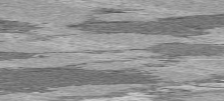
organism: C57BL Mouse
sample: Heart